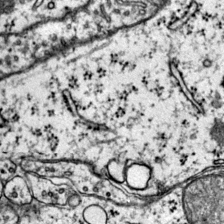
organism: Mouse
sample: Primary visual cortex